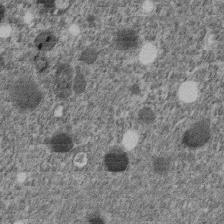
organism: C. elegans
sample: C. elegans embryo early stage